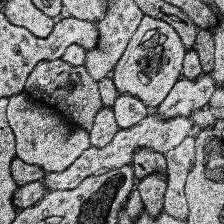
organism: Human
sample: Temporal Lobe